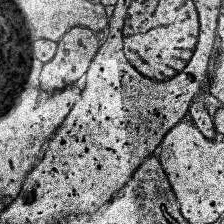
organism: Human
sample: Temporal Lobe